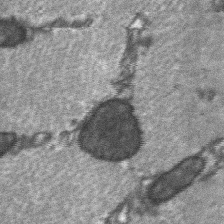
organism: C57BL Mouse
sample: Soleus